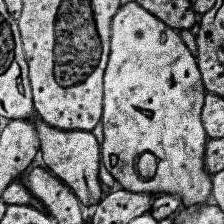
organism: Human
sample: Temporal Lobe